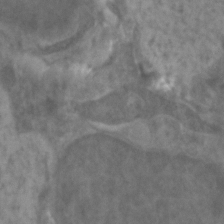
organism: Zebrafish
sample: Zebrafish embryo